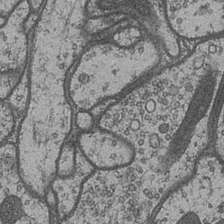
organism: Drosophila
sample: Optic medulla